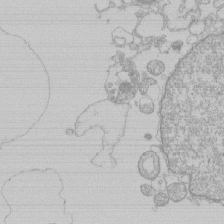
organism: Human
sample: Macrophage cells